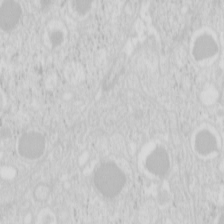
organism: Mouse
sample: Pancreas